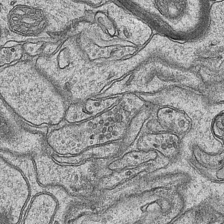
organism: Mouse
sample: CA1 Hippocampus